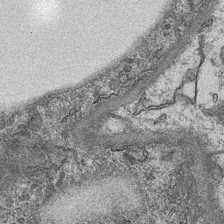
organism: Mouse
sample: CA1 Hippocampus